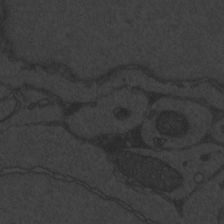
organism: Zebrafish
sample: Macrophage infected with Toxoplasma gondii